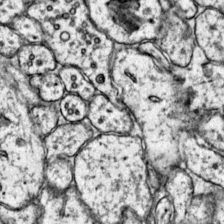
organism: Mouse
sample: Primary visual cortex